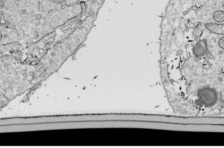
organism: Drosophila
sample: Cell division; meiosis; drosophila spermatocytes